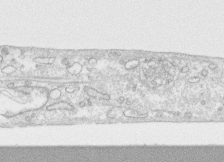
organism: Human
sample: CRL-1474